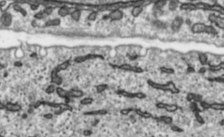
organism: Toxoplasma gondii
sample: Parasites in a vacuole inside a host cell